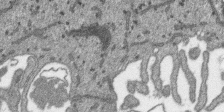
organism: Human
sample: Lung epithelial cells infected with SARS-CoV-2